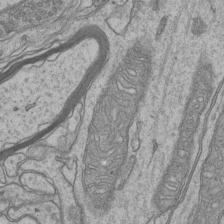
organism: Mouse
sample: CA1 Hippocampus